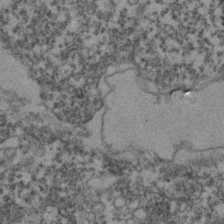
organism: Zebrafish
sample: Zebrafish embryo